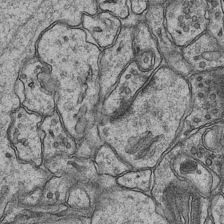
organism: Mouse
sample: CA1 Hippocampus